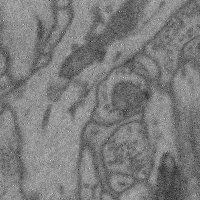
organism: Mouse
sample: Cerebral cortex